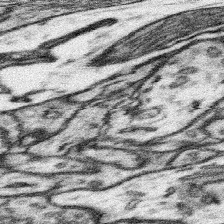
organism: Mouse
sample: Somatosensory cortex neuropil